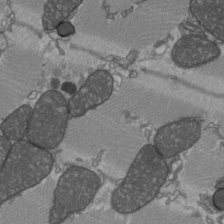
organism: C57BL Mouse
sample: Heart